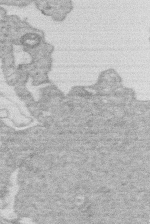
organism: Human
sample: Macrophage cells